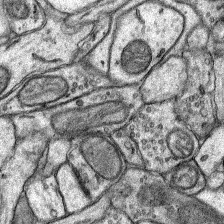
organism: Rat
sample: Hippocampus